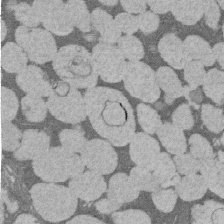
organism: Rat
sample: Salivary granule